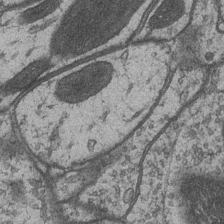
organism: Drosophila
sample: Optic medulla